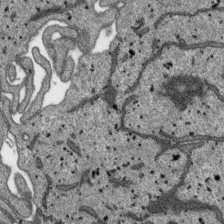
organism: Human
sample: Lung epithelial cells, uninfected (mock) control